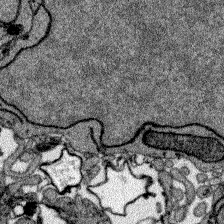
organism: Zebrafish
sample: Larval olfactory bulb